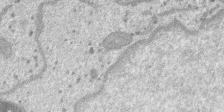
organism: Human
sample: Lung epithelial cells infected with SARS-CoV-2